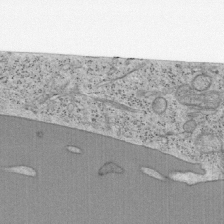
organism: Human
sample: HeLa cells